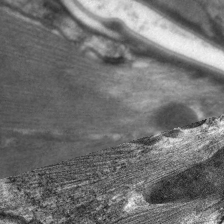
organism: C. elegans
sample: Pharynx